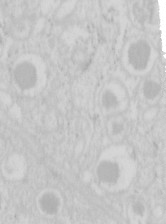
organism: Mouse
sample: Pancreas